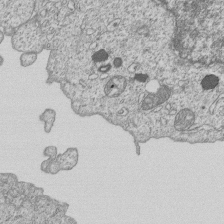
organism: Human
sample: MDA-MB-231 cells